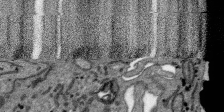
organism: Human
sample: Lung epithelial cells, uninfected (mock) control